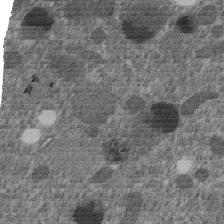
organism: C. elegans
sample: C. elegans embryo early stage